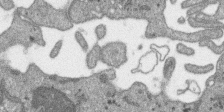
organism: Human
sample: Lung epithelial cells infected with SARS-CoV-2